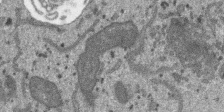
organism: Human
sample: Lung epithelial cells infected with SARS-CoV-2